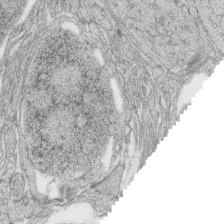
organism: Zebrafish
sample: synaptic ribbons in rod cells and cone cells